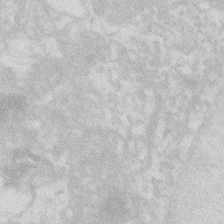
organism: Zebrafish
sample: Macrophage